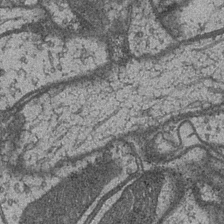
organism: Drosophila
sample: Optic medulla